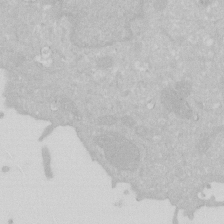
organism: Human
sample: HIV infected U937 cells